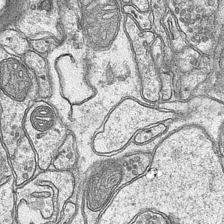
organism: Mouse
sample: CA1 Hippocampus